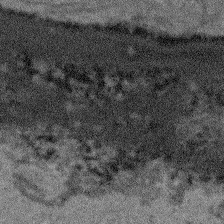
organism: Arabidopsis thaliana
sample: Root tip